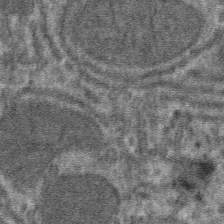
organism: Mouse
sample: Mouse hepatocytes